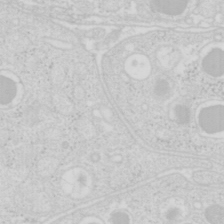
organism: Mouse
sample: Pancreas